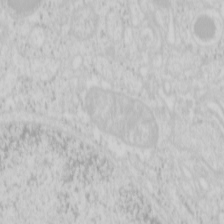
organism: Mouse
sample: Pancreas